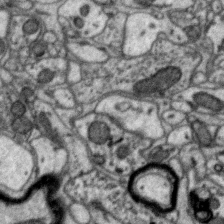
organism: Zebra finch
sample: Brain